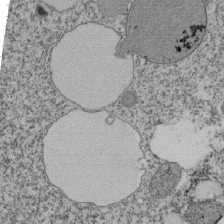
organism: Tetrahymena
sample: Cilia in tetrahymena